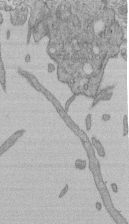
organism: Human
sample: Retinal organoid Rod and Cone cells